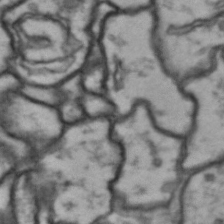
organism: Drosophila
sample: Brain